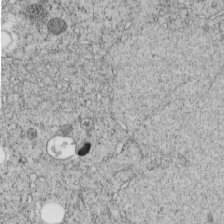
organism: C. elegans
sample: C. elegans embryo early stage